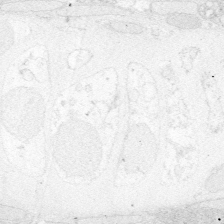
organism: Zebrafish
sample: Whole-Brain